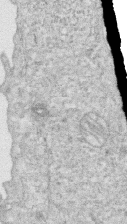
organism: Human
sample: HeLa cell HIV synapse